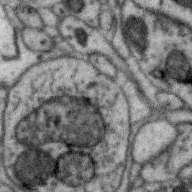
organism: Zebra finch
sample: Brain